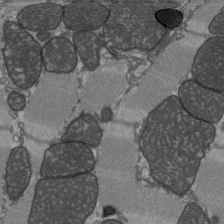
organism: C57BL Mouse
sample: Heart